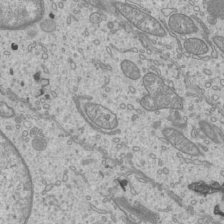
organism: Mouse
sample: Cilia; mouse epididymis